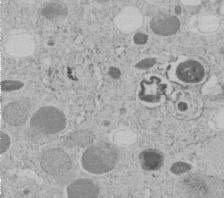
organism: C. elegans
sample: C. elegans embryo early stage